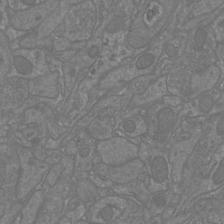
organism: Mouse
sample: Cortical neurons